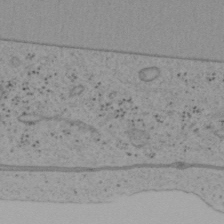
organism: Human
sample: HeLa cells